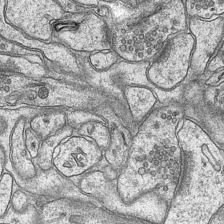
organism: Mouse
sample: CA1 Hippocampus